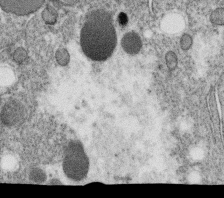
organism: C. elegans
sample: C. elegans oocyte; sperm cells